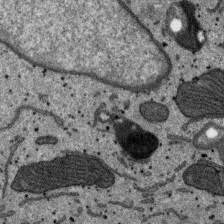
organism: Human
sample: Lung epithelial cells, uninfected (mock) control